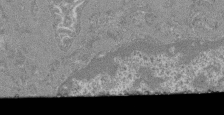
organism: Mouse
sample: Glomerulus